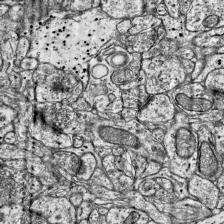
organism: Mouse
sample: Visual Cortex